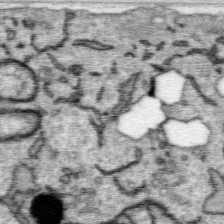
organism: Human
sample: HeLa cells